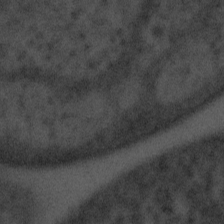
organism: Tuwongella immobilis